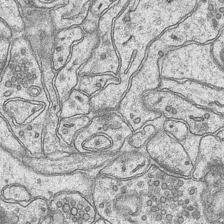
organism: Mouse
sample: CA1 Hippocampus